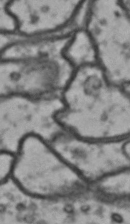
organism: Drosophila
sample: Brain